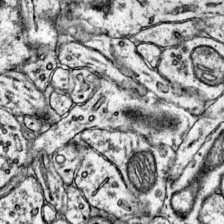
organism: Mouse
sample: Primary visual cortex